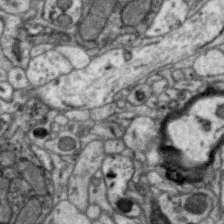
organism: Zebra finch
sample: Brain